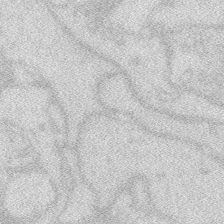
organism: Zebrafish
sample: Macrophage